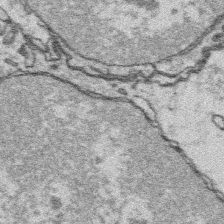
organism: Platynereis dumerilii